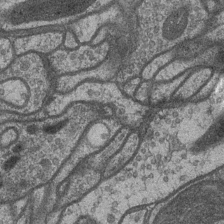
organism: Drosophila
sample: Optic medulla